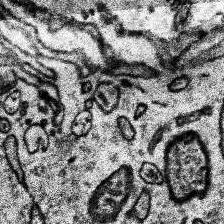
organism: Human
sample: Temporal Lobe